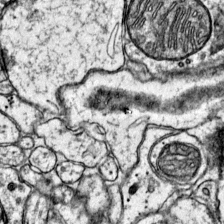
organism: Mouse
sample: Primary visual cortex